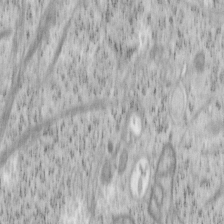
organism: Human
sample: HeLa cells